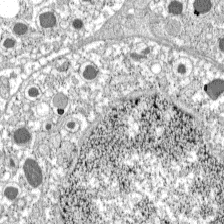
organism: C57BL Mouse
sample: Pancreatic islet